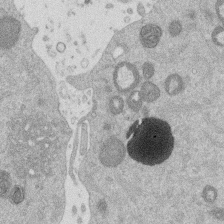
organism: Mouse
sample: Dividing mouse embryo 1 cell stage